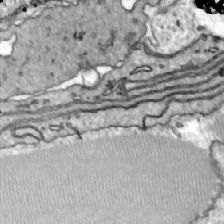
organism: Zebrafish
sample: Actinotrichia fibers